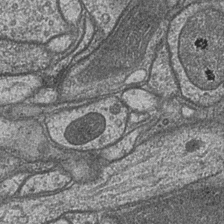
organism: Drosophila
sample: Optic medulla